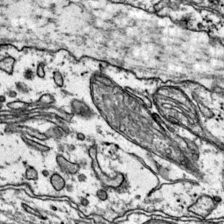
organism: Mouse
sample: Primary visual cortex